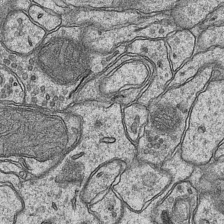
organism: Mouse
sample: CA1 Hippocampus